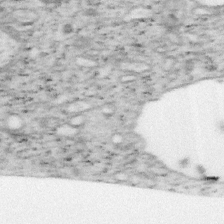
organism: Mouse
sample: OT-I killer T cells with ID8 ovarian cancer cells